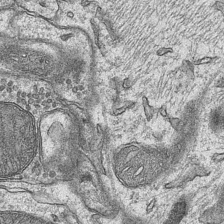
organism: Mouse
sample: CA1 Hippocampus